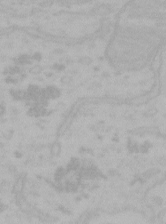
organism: Mouse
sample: Choroid plexus